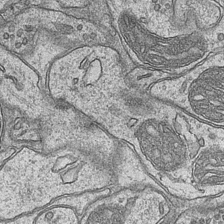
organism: Mouse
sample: CA1 Hippocampus